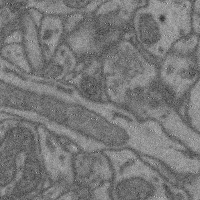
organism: Mouse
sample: Cerebral cortex